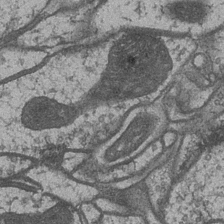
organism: Drosophila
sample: Optic medulla